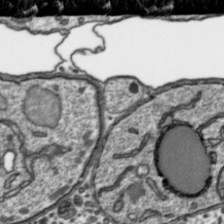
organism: Toxoplasma gondii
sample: Parasites in a vacuole inside a host cell